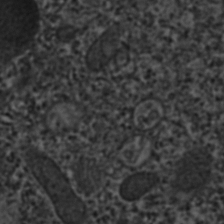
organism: C. elegans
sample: C. elegans embryo